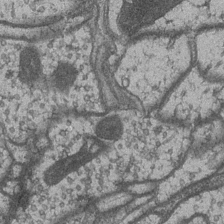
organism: Drosophila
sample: Optic medulla